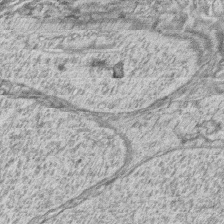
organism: Zebrafish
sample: synaptic ribbons in rod cells and cone cells